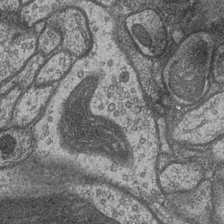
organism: Drosophila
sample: Optic medulla